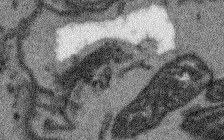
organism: Arabidopsis thaliana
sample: Root tip